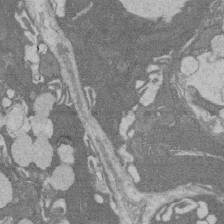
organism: Rat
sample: Salivary granule